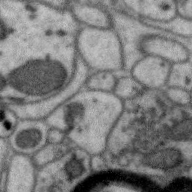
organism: Zebra finch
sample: Brain